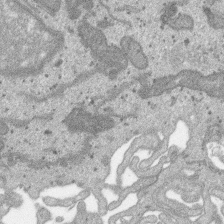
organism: Human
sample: Lung epithelial cells infected with SARS-CoV-2